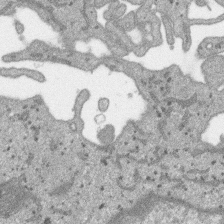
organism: Human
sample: Lung epithelial cells infected with SARS-CoV-2